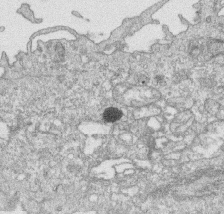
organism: Human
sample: HeLa cell HIV synapse